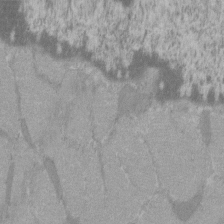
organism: C57BL Mouse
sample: Tibialis anterior muscle cell